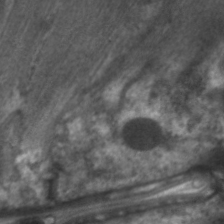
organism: C. elegans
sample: Pharynx